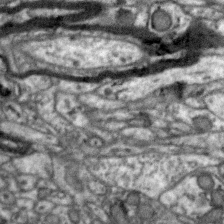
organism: Zebra finch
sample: Brain